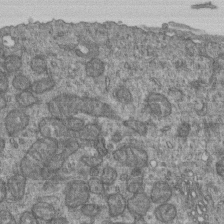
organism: Human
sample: Retinal organoid Rod and Cone cells